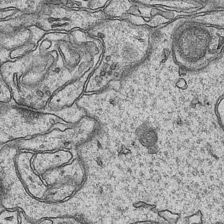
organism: Mouse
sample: CA1 Hippocampus